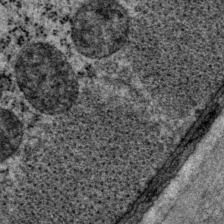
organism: P. pacificus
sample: Pharynx